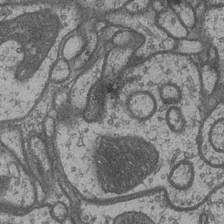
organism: Drosophila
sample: Optic medulla